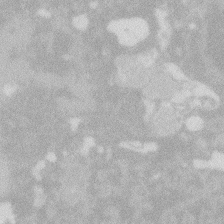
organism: Zebrafish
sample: Macrophage